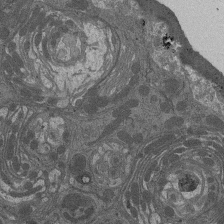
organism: Drosophila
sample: Antenna